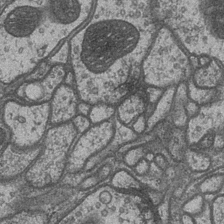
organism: Drosophila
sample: Optic medulla